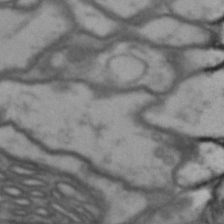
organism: Drosophila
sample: Brain